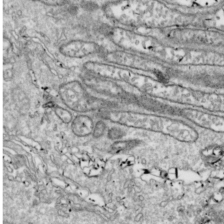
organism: Drosophila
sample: Cell division; meiosis; drosophila spermatocytes